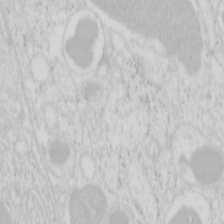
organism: Mouse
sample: Pancreas